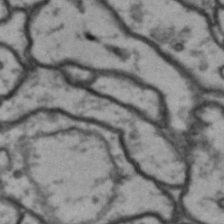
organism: Drosophila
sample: Brain